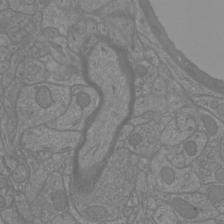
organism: Mouse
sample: Cortical neurons